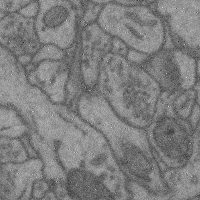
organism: Mouse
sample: Cerebral cortex